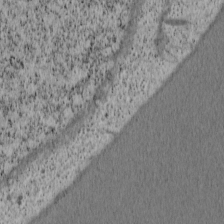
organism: African green monkey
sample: COS-7 cells